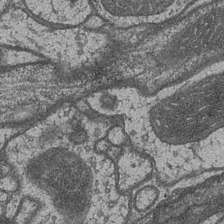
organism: Drosophila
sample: Optic medulla